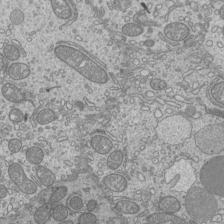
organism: Mouse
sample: Cilia; mouse epididymis